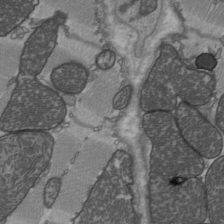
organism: C57BL Mouse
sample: Heart